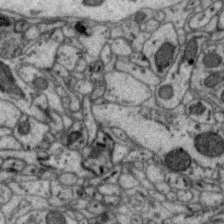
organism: Zebra finch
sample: Brain